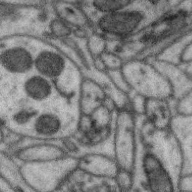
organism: Zebra finch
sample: Brain